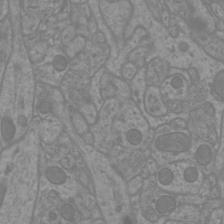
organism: Mouse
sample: Cortical neurons